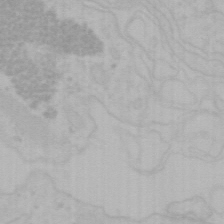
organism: Mouse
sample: Choroid plexus